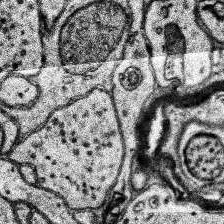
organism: Human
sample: Temporal Lobe